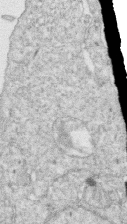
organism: Human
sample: HeLa cell HIV synapse